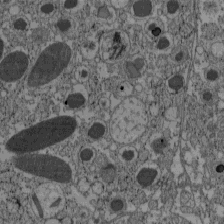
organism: C57BL Mouse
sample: Pancreatic islet